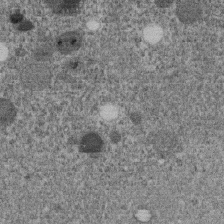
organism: C. elegans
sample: C. elegans embryo early stage